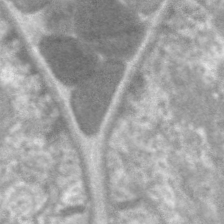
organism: C. elegans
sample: Pharynx